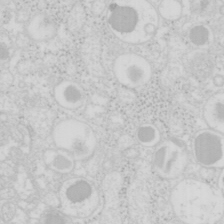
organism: Mouse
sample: Pancreas